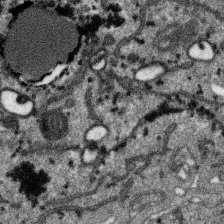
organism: Human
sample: Lung epithelial cells infected with SARS-CoV-2